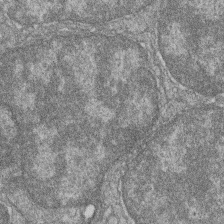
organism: Zebrafish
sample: Cilia; retinal pigment epithelium